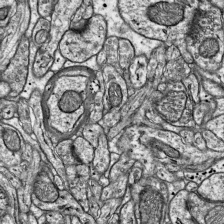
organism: Mouse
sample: Visual Cortex